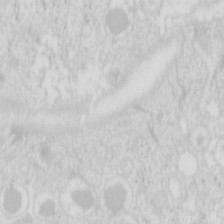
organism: Mouse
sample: Pancreas